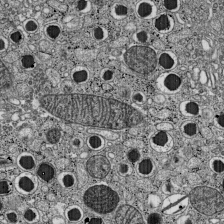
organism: C57BL Mouse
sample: Pancreatic islet